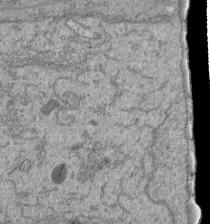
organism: Human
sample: Retinal organoid Rod and Cone cells